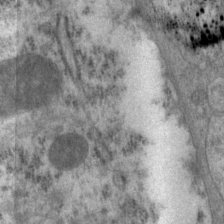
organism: P. pacificus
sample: Pharynx